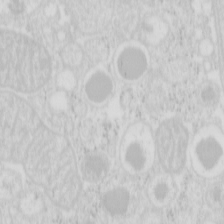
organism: Mouse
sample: Pancreas